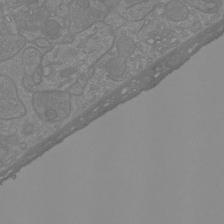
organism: Mouse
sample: Cortical neurons